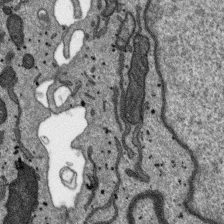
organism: Human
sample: Lung epithelial cells, uninfected (mock) control